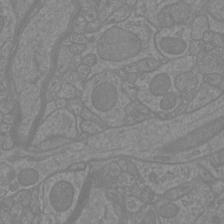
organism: Mouse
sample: Cortical neurons